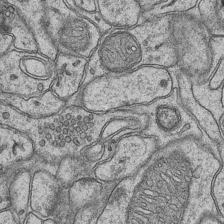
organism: Mouse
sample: CA1 Hippocampus